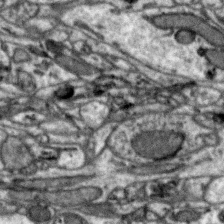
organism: Zebra finch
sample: Brain